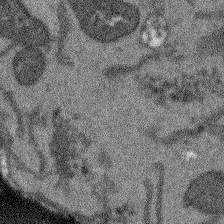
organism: Arabidopsis thaliana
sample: Root tip